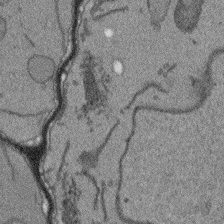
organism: Arabidopsis thaliana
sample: Root tip